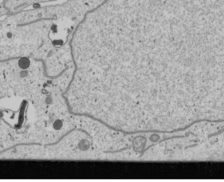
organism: Human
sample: Mitochondria in U2OS cells